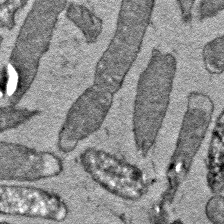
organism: E. coli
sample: E. Coli Bacteria